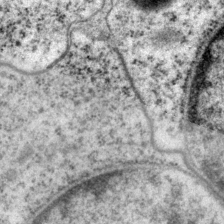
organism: P. pacificus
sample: Pharynx